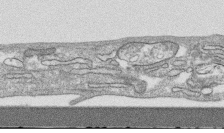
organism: Human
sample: CRL-1474